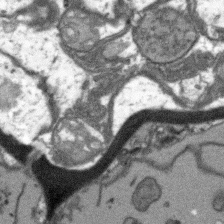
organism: Arabidopsis thaliana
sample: Root tip